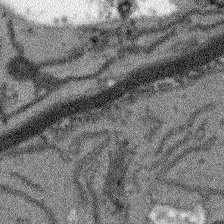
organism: Arabidopsis thaliana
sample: Root tip